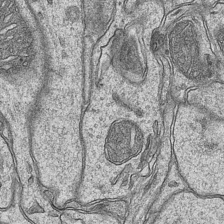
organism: Mouse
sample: CA1 Hippocampus